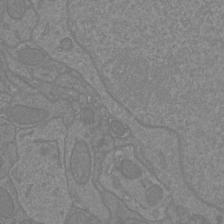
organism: Mouse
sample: Cortical neurons